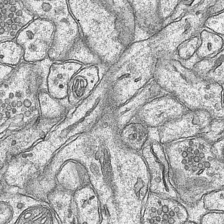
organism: Mouse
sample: CA1 Hippocampus